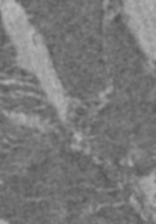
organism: C57BL Mouse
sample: Heart